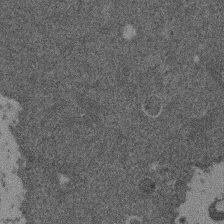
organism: Mouse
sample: Dividing mouse embryo 1 cell stage